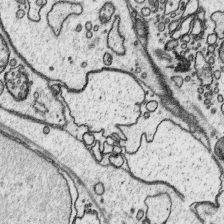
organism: Platynereis dumerilii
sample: Parapodia